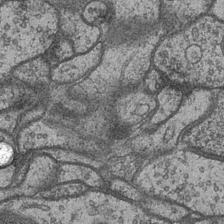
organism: Drosophila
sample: Optic medulla